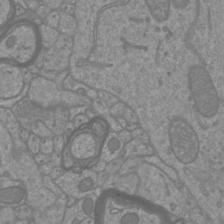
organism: Mouse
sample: Cortical neurons